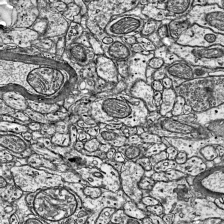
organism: Mouse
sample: Visual Cortex